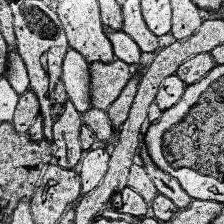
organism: Human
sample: Temporal Lobe